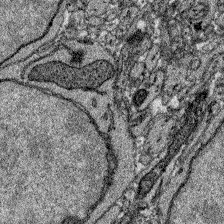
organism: Zebrafish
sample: Larval olfactory bulb